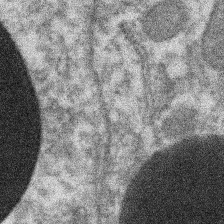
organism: Xenopus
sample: Cilia; centrioles in frog embryo cells